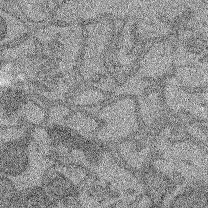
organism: Human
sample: HeLa cells